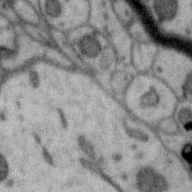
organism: Zebra finch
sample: Brain